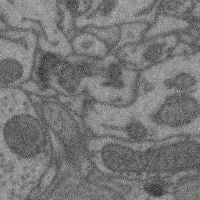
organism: Mouse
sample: Cerebral cortex